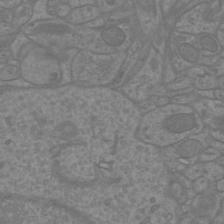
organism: Mouse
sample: Cortical neurons